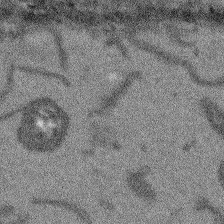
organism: Arabidopsis thaliana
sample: Root tip